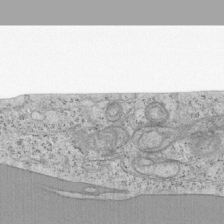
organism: Human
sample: HeLa cells